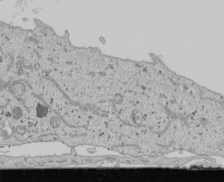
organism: Human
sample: Mitochondria in U2OS cells